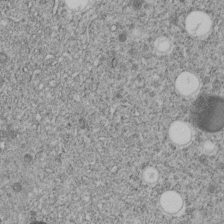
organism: C. elegans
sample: C. elegans embryo early stage